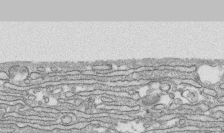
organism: Human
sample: CRL-1474